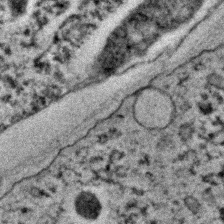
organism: C. elegans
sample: C. elegans embryo